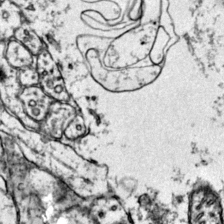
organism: Mouse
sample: Primary visual cortex